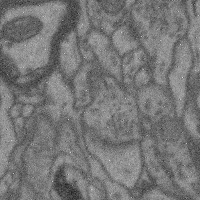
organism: Mouse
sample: Cerebral cortex